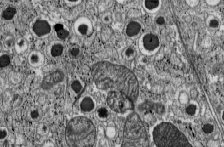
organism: C57BL Mouse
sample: Pancreatic islet